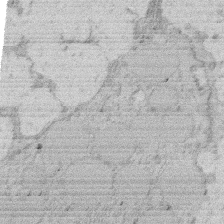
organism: Rat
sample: Salivary granule